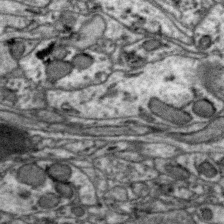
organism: Zebra finch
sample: Brain